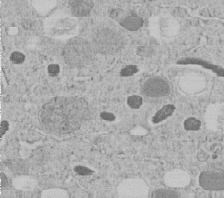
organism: C. elegans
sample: C. elegans embryo early stage